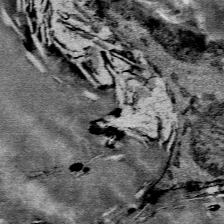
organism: Mouse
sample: Mouse Salivary gland